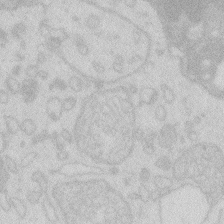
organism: Zebrafish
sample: Macrophage